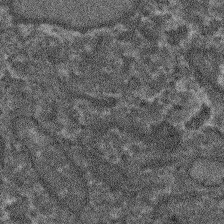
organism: Arabidopsis thaliana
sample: Root tip